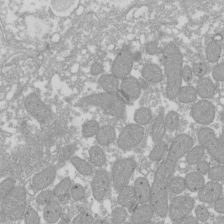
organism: Xenopus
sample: Cilia; centrioles in frog embryo cells